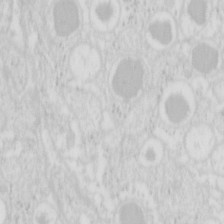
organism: Mouse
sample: Pancreas